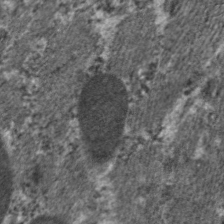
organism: C. elegans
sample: Pharynx